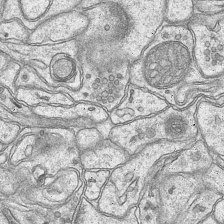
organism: Mouse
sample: CA1 Hippocampus